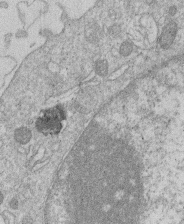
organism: Human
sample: Macrophage cells